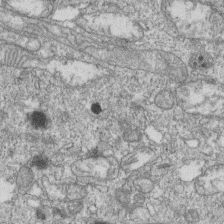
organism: Human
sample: HeLa cell HIV synapse